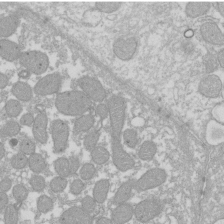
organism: Xenopus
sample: Cilia; centrioles in frog embryo cells